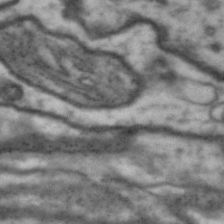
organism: Drosophila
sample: Brain